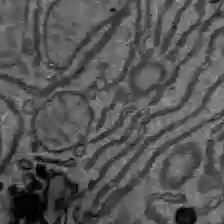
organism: C57BL Mouse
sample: Liver